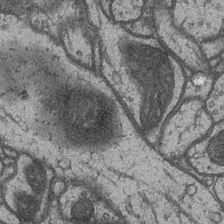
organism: Drosophila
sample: Optic medulla